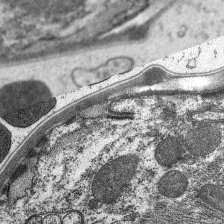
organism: C. elegans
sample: Pharynx